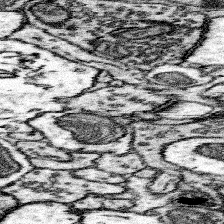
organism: Mouse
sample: Somatosensory cortex neuropil